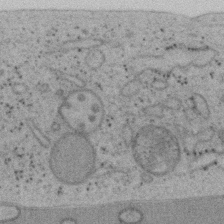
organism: Human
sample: HeLa cells